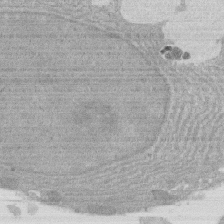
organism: Rat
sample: Salivary granule